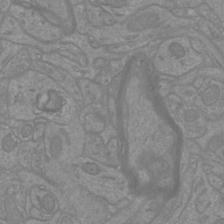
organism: Mouse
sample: Cortical neurons